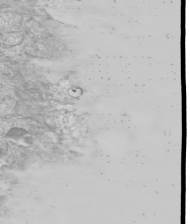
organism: Mouse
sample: Cilia; mouse epididymis